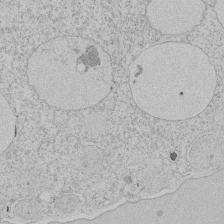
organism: Tetrahymena